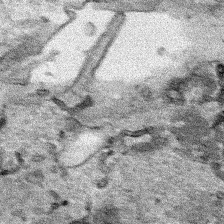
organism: Human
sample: Mitochondria in HCT116 cells